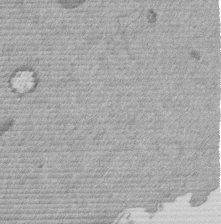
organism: Mouse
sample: Dividing mouse embryo 1 cell stage